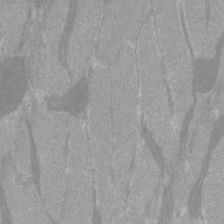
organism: C57BL Mouse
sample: Tibialis anterior muscle cell